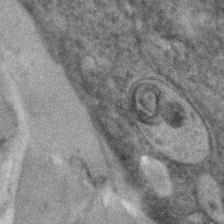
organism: Human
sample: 1205lu cells